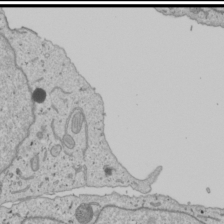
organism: Human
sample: Mitochondria in U2OS cells